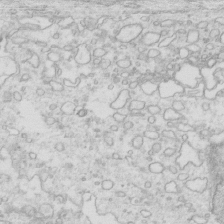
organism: Mouse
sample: Multiciliated cells